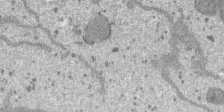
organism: Human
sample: Lung epithelial cells infected with SARS-CoV-2